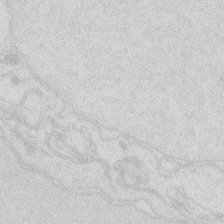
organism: Zebrafish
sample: Macrophage